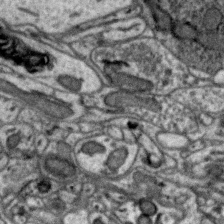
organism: Zebra finch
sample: Brain